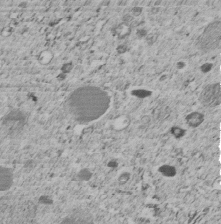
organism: C. elegans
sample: C. elegans embryo early stage